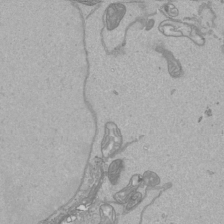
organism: Human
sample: Mitochondria in HCT116 cells